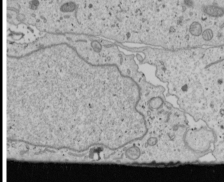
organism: Human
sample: Mitochondria in U2OS cells